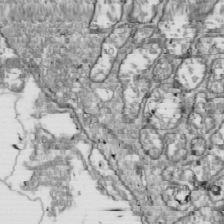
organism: Drosophila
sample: Cell division; meiosis; drosophila spermatocytes